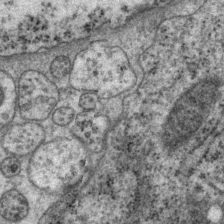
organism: P. pacificus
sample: Pharynx